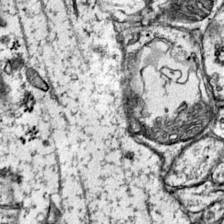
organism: Mouse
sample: Primary visual cortex